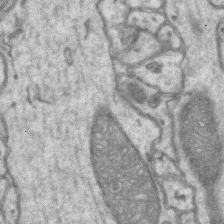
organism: Mouse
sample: CA1 Hippocampus